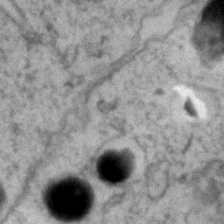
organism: Zebrafish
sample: Zebrafish embryo